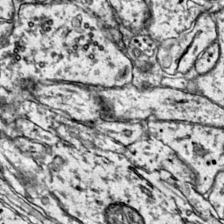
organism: Mouse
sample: Primary visual cortex